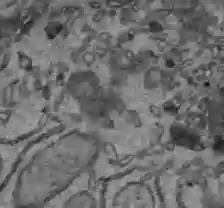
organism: C57BL Mouse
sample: Liver